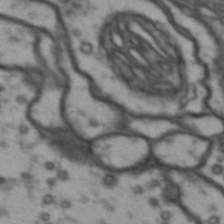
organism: Drosophila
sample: Brain